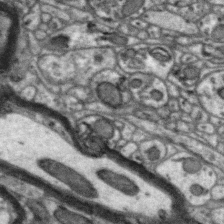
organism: Zebra finch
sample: Brain